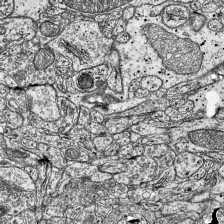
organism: Mouse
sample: Visual Cortex